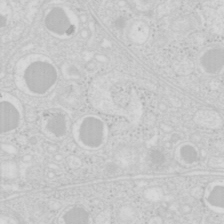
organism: Mouse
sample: Pancreas